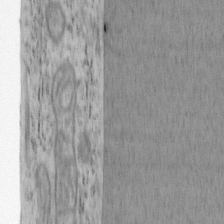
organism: Human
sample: HeLa cells